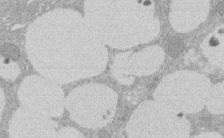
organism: Rat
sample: Salivary granule